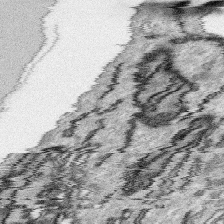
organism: Human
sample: HeLa cells